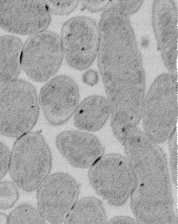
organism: E. coli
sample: Bacterial nucleoid